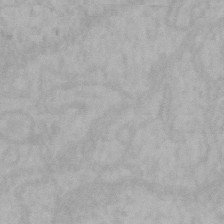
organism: Mouse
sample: Choroid plexus